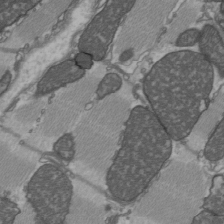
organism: C57BL Mouse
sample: Heart